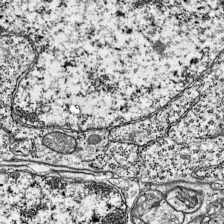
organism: Mouse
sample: Visual Cortex